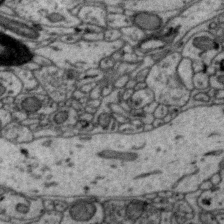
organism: Zebra finch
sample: Brain